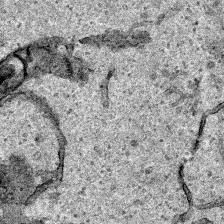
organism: Human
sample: Mitochondria in HCT116 cells